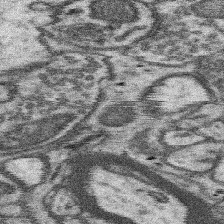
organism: Mouse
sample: Somatosensory cortex neuropil